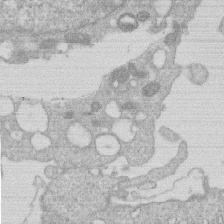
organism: Human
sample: Macrophage cells